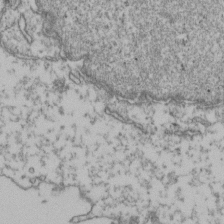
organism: Human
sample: Activated Jurkat CD4+ T cells